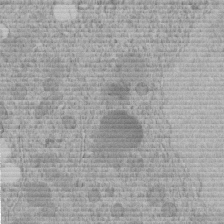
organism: C. elegans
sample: C. elegans embryo early stage